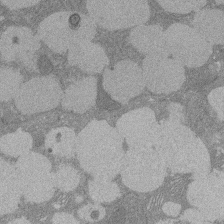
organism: Rat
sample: Salivary granule